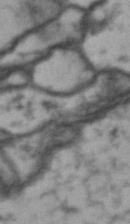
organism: Drosophila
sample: Brain